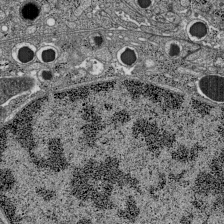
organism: C57BL Mouse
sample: Pancreatic islet